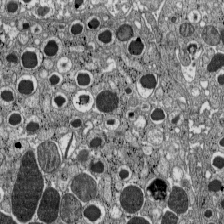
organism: C57BL Mouse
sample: Pancreatic islet